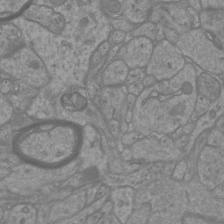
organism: Mouse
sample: Cortical neurons